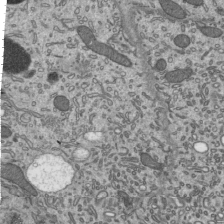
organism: Mouse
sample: Mouse epididymis efferent ductule cilia